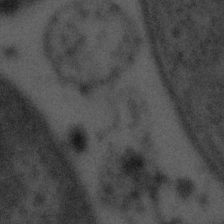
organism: Tuwongella immobilis